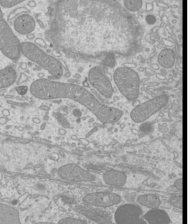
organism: Mouse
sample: Cilia; mouse epididymis